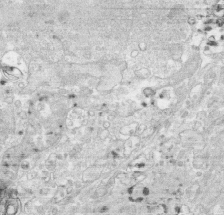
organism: Human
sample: CRL-1474